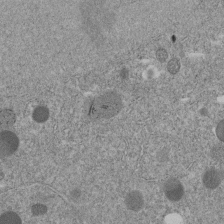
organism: C. elegans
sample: C. elegans embryo early stage